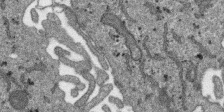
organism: Human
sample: Lung epithelial cells infected with SARS-CoV-2